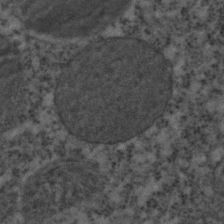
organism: C. elegans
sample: C. elegans embryo